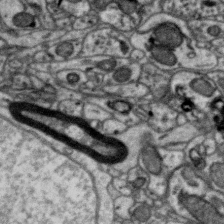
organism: Zebra finch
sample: Brain